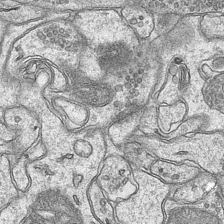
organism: Mouse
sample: CA1 Hippocampus